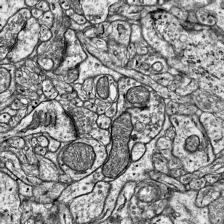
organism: Mouse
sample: Visual Cortex